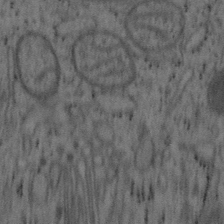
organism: Human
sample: HeLa cells